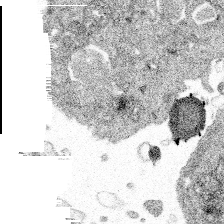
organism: Spongilla lacustris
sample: Multiple